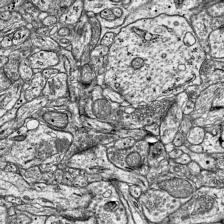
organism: Mouse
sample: Visual Cortex